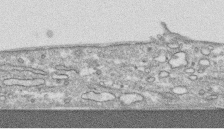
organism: Human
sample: CRL-1474